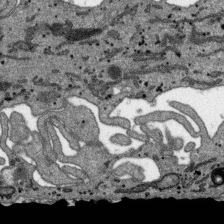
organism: Human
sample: Lung epithelial cells, uninfected (mock) control